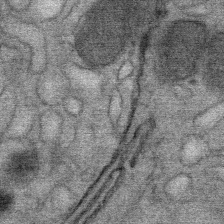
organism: Mouse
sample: Mouse Salivary gland